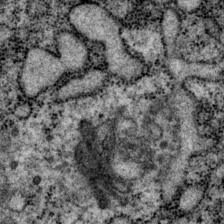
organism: P. pacificus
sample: Pharynx